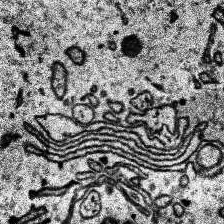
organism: Human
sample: Temporal Lobe